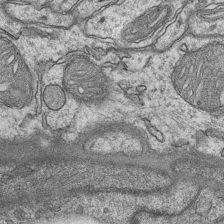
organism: Mouse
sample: CA1 Hippocampus